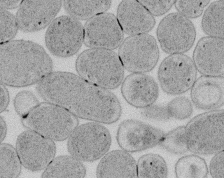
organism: E. coli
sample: Bacterial nucleoid